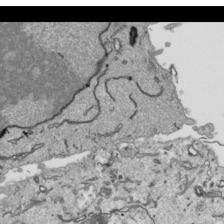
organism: Human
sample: Mitochondria in HCT116 cells